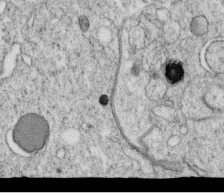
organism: C. elegans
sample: C. elegans oocyte; sperm cells